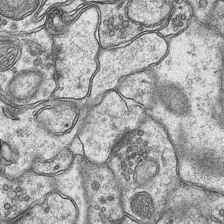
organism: Mouse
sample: CA1 Hippocampus